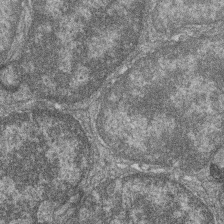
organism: Zebrafish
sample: Cilia; retinal pigment epithelium